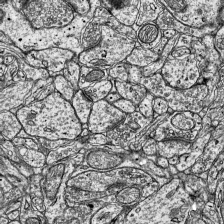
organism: Mouse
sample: Visual Cortex